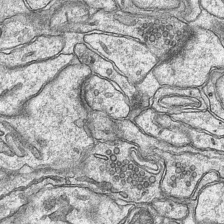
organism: Mouse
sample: CA1 Hippocampus